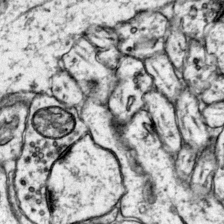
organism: Mouse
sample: Primary visual cortex